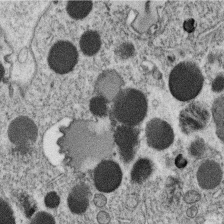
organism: C. elegans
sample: C. elegans oocyte; sperm cells